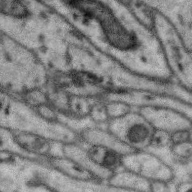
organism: Zebra finch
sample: Brain